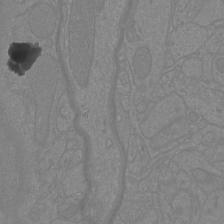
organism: Mouse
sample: Cortical neurons